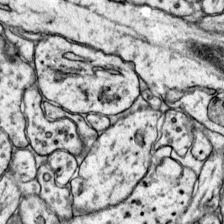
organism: Mouse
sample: Primary visual cortex